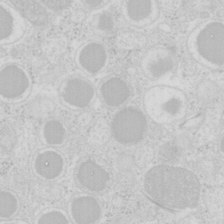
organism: Mouse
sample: Pancreas